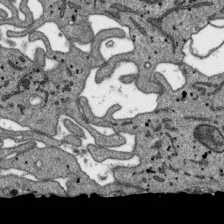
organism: Human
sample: Lung epithelial cells, uninfected (mock) control